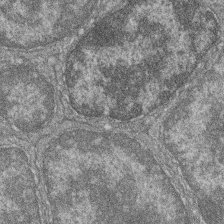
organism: Zebrafish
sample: Cilia; retinal pigment epithelium